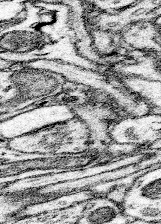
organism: Mouse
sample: Somatosensory cortex neuropil